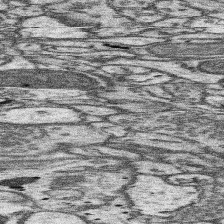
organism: Mouse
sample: Somatosensory cortex neuropil